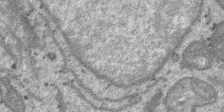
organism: Human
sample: Lung epithelial cells infected with SARS-CoV-2